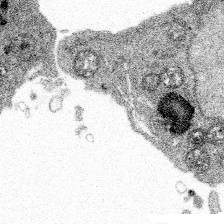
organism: Spongilla lacustris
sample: Multiple